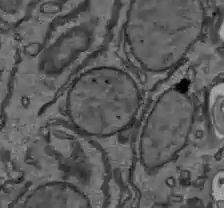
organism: C57BL Mouse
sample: Liver